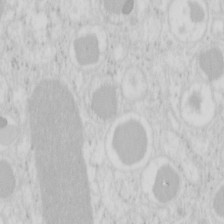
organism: Mouse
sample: Pancreas